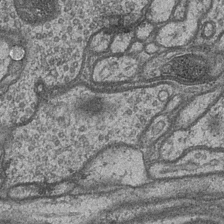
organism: Drosophila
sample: Optic medulla